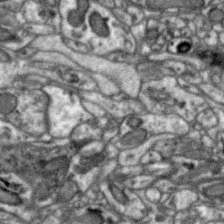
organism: Zebra finch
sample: Brain